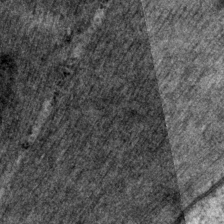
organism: P. pacificus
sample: Pharynx